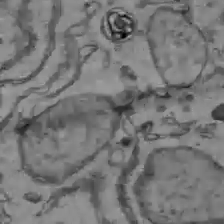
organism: C57BL Mouse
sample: Liver